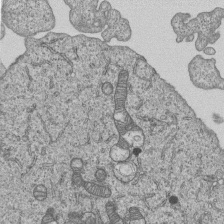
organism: Human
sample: MDA-MB-231 cells